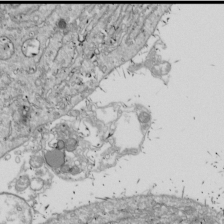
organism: Drosophila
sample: Cell division; meiosis; drosophila spermatocytes